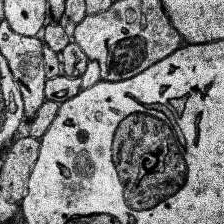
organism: Human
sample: Temporal Lobe